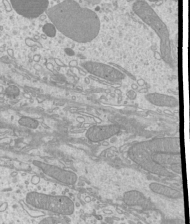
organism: Mouse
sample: Cilia; mouse epididymis